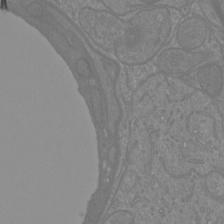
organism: Mouse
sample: Cortical neurons